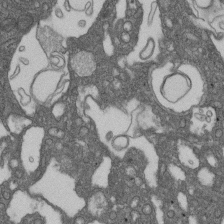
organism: Drosophila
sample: Nephrocyte